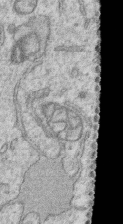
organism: Human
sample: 1205lu cells